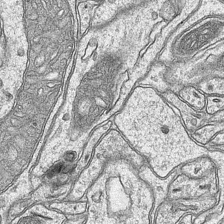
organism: Mouse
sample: CA1 Hippocampus